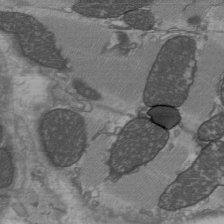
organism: C57BL Mouse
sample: Heart